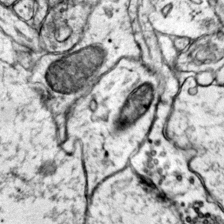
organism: Mouse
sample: Primary visual cortex